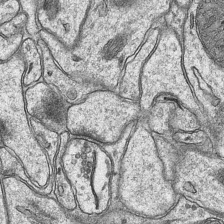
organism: Mouse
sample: CA1 Hippocampus